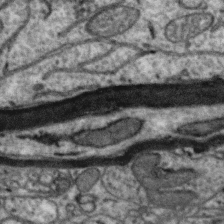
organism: Zebra finch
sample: Brain